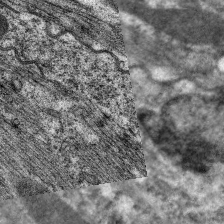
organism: C. elegans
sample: Pharynx